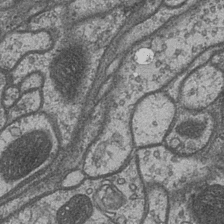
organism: Drosophila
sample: Optic medulla